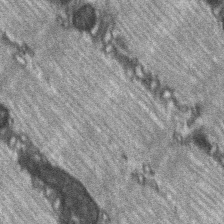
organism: C57BL Mouse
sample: Soleus